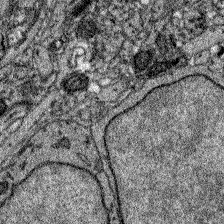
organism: Zebrafish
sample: Larval olfactory bulb